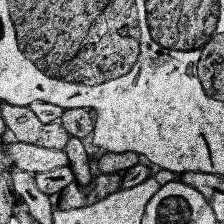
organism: Human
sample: Temporal Lobe